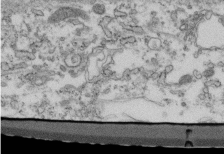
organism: Mouse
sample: Cilia; retinal pigment epithelium